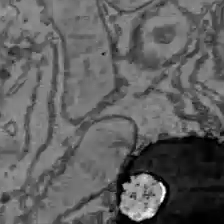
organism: C57BL Mouse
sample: Liver